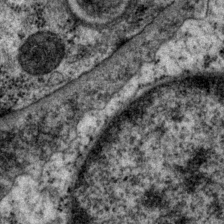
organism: P. pacificus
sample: Pharynx